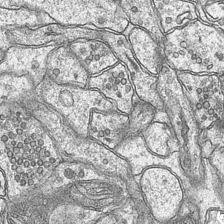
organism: Mouse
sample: CA1 Hippocampus